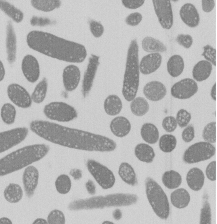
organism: E. coli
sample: Bacterial nucleoid